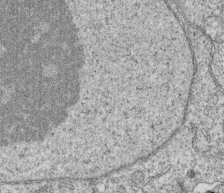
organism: Human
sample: HeLa cell HIV synapse